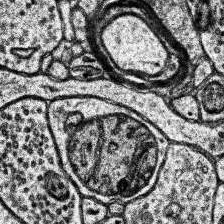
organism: Human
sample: Temporal Lobe